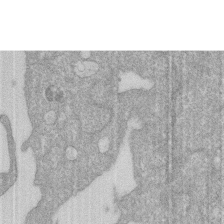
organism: Human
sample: HIV infected U937 cells